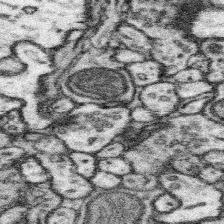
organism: Mouse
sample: Somatosensory cortex neuropil